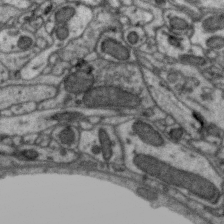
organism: Zebra finch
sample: Brain